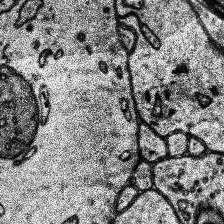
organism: Human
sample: Temporal Lobe